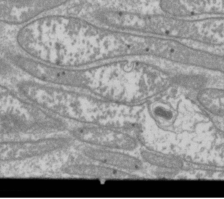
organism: Drosophila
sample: Cell division; meiosis; drosophila spermatocytes